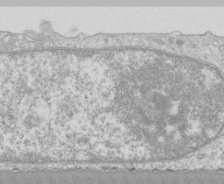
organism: Human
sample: CRL-1474